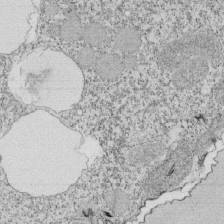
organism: Tetrahymena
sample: Cilia in tetrahymena